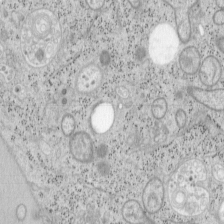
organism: Mouse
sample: OT-I killer T cells with ID8 ovarian cancer cells